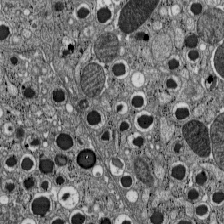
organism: C57BL Mouse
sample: Pancreatic islet